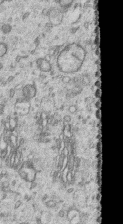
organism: Human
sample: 1205lu cells